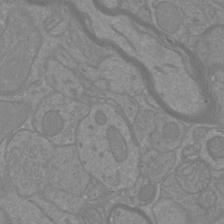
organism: Mouse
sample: Cortical neurons